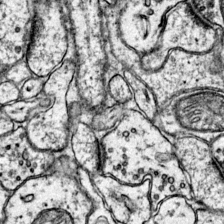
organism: Mouse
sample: Primary visual cortex